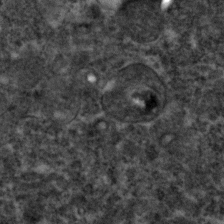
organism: Zebrafish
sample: Zebrafish embryo